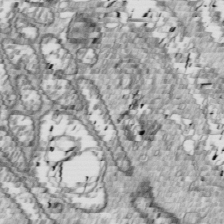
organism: Drosophila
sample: Cell division; meiosis; drosophila spermatocytes